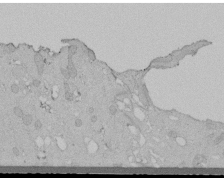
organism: Human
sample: Melanocyte Keratinocyte synapse skin construct